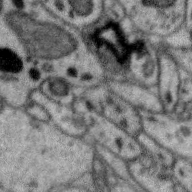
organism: Zebra finch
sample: Brain